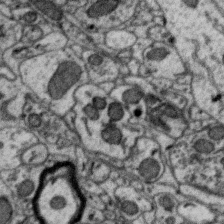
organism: Zebra finch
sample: Brain